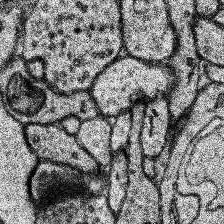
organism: Human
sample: Temporal Lobe